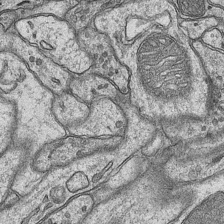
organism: Mouse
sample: CA1 Hippocampus